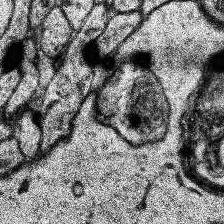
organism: Human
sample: Temporal Lobe